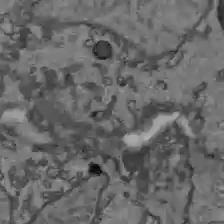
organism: C57BL Mouse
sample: Liver